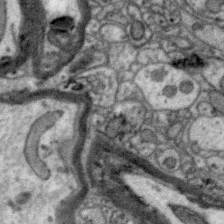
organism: Zebra finch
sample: Brain